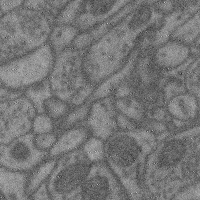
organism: Mouse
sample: Cerebral cortex